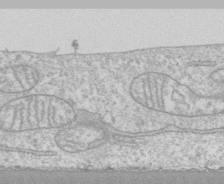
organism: Human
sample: CRL-1474